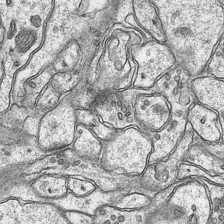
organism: Mouse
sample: CA1 Hippocampus